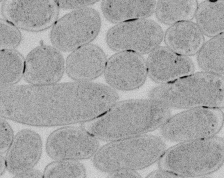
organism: E. coli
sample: Bacterial nucleoid